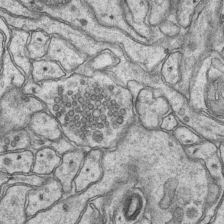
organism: Mouse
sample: CA1 Hippocampus